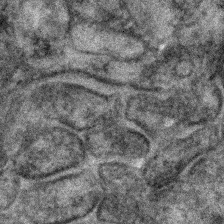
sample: Kidney